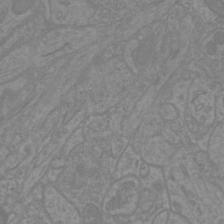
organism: Mouse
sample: Cortical neurons